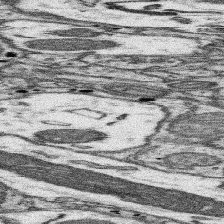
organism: Mouse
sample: Somatosensory cortex neuropil